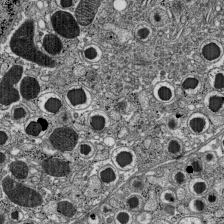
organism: C57BL Mouse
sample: Pancreatic islet